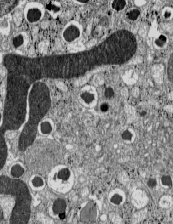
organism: C57BL Mouse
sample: Pancreatic islet